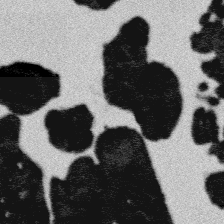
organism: Platynereis dumerilii